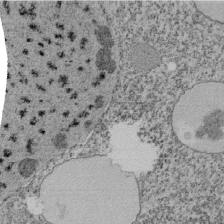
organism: Tetrahymena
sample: Cilia in tetrahymena